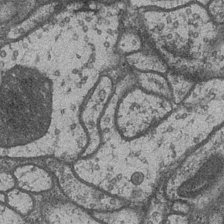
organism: Drosophila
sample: Optic medulla